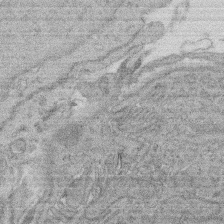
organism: Rat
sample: Salivary granule